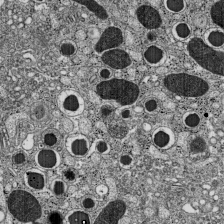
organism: C57BL Mouse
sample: Pancreatic islet